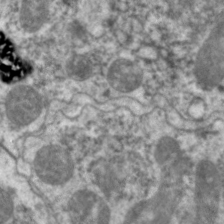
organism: C. elegans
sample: Pharynx